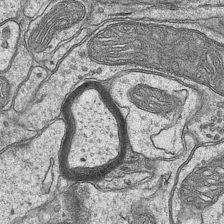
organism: Mouse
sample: CA1 Hippocampus